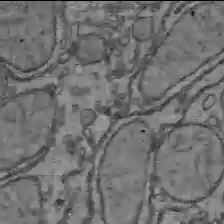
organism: C57BL Mouse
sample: Liver